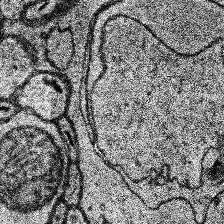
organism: Human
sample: Temporal Lobe